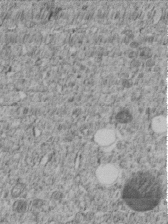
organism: C. elegans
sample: C. elegans embryo early stage